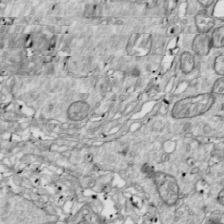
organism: Drosophila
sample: Cell division; meiosis; drosophila spermatocytes